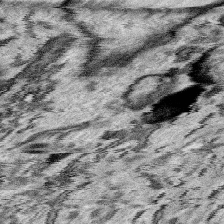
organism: Human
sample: HeLa cells